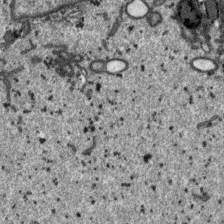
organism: Human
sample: Lung epithelial cells infected with SARS-CoV-2